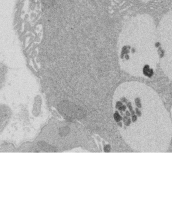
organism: Rat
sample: Salivary granule